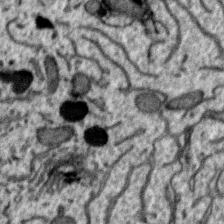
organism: Zebra finch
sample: Brain